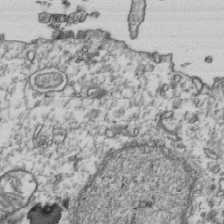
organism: Human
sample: Activated Jurkat CD4+ T cells